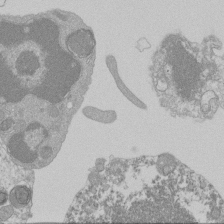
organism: Mouse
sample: Activated Pmel transgenic CD8+ T Cells